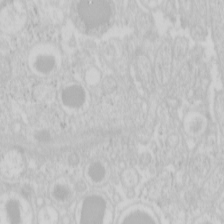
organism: Mouse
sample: Pancreas